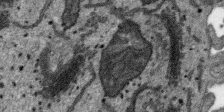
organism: Human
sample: Lung epithelial cells, uninfected (mock) control